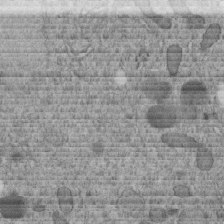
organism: C. elegans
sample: C. elegans embryo early stage